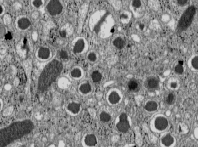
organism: C57BL Mouse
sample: Pancreatic islet